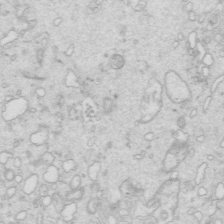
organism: Mouse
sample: Multiciliated cells